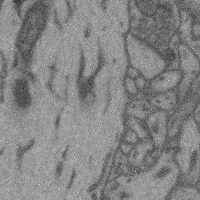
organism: Mouse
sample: Cerebral cortex